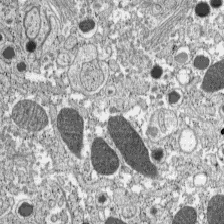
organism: C57BL Mouse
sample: Pancreatic islet